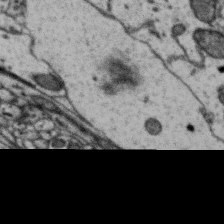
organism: Zebra finch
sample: Brain